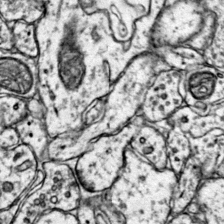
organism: Mouse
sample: Primary visual cortex